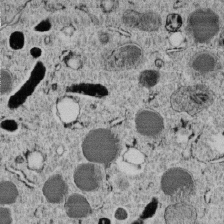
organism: C. elegans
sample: C. elegans embryo early stage